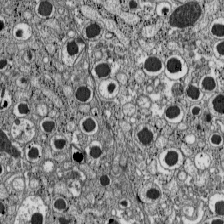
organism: C57BL Mouse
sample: Pancreatic islet